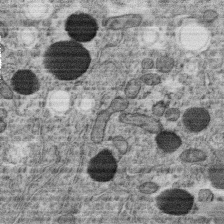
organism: C. elegans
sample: C. elegans oocyte; sperm cells